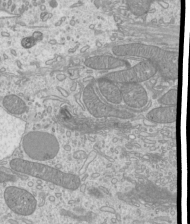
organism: Mouse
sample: Cilia; mouse epididymis